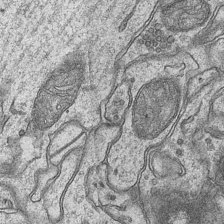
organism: Mouse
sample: CA1 Hippocampus